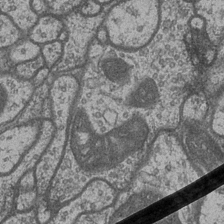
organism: Drosophila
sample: Optic medulla